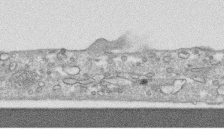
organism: Human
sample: CRL-1474